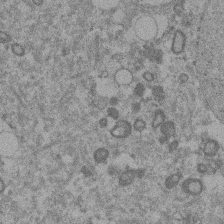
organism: Mouse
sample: Dividing mouse embryo 1 cell stage